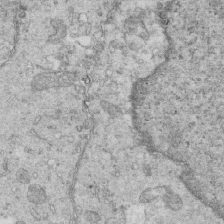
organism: Mouse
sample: Multiciliated cells